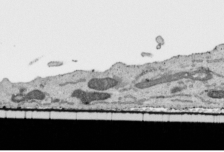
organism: Human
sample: Mitochondria in HCT116 cells